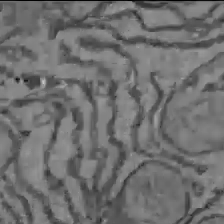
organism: C57BL Mouse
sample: Liver